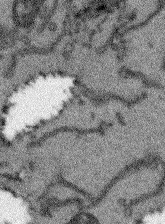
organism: Arabidopsis thaliana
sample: Root tip